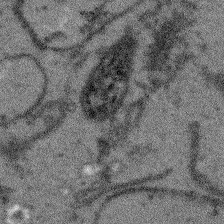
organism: Arabidopsis thaliana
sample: Root tip